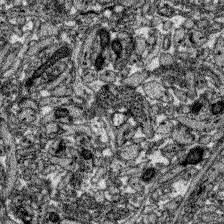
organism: Zebrafish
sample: Larval olfactory bulb